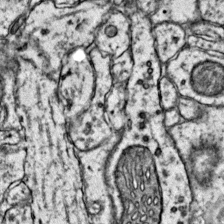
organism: Mouse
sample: Primary visual cortex